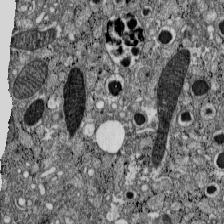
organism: C57BL Mouse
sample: Pancreatic islet